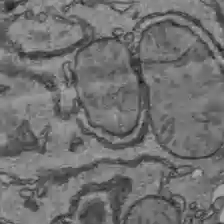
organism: C57BL Mouse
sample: Liver